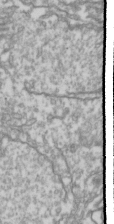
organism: Drosophila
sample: Cell division; meiosis; drosophila spermatocytes